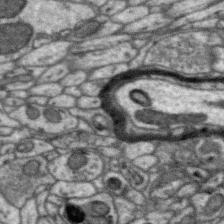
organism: Zebra finch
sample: Brain